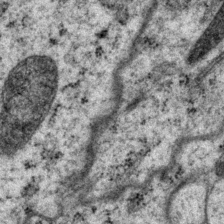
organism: P. pacificus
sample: Pharynx